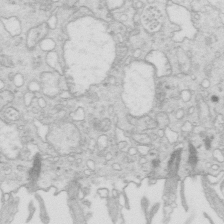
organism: Mouse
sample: Multiciliated cells